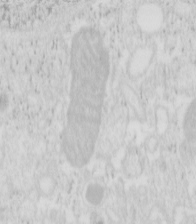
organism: Mouse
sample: Pancreas